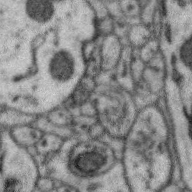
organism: Zebra finch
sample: Brain